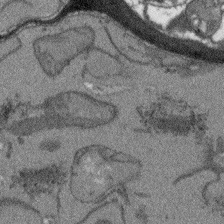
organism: Arabidopsis thaliana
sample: Root tip